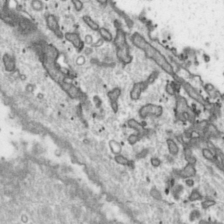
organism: Toxoplasma gondii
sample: Parasites in a vacuole inside a host cell